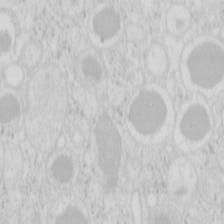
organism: Mouse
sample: Pancreas